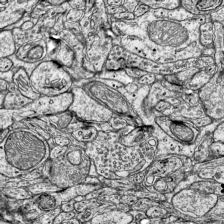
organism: Mouse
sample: Visual Cortex